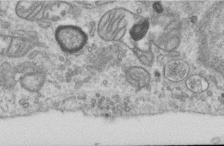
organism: Human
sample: Centriole in RPE cells